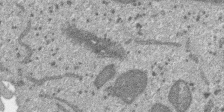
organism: Human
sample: Lung epithelial cells infected with SARS-CoV-2